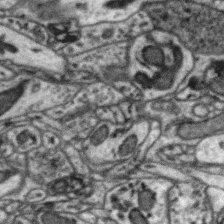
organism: Zebra finch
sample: Brain